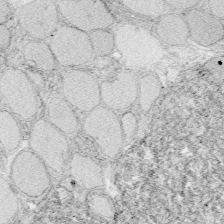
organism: Zebrafish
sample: Whole-Brain